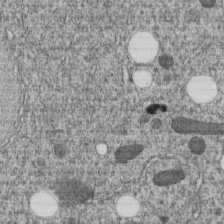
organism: C. elegans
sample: C. elegans embryo early stage